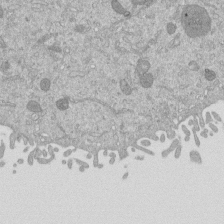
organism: Mouse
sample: ED-1 cell nuclei; centrioles